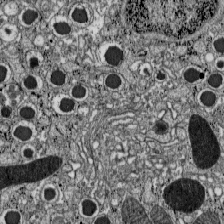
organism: C57BL Mouse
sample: Pancreatic islet